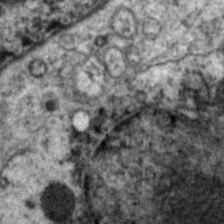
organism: C. elegans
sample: Pharynx